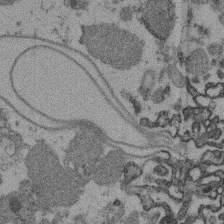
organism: Mouse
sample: Dividing mouse embryo 1 cell stage